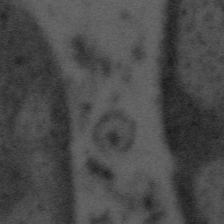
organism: Tuwongella immobilis